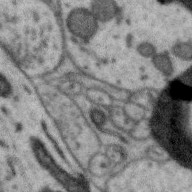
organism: Zebra finch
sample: Brain